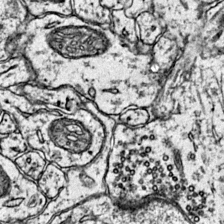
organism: Mouse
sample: Primary visual cortex